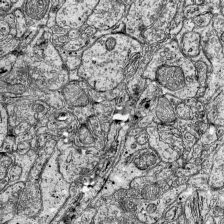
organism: Mouse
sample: Visual Cortex